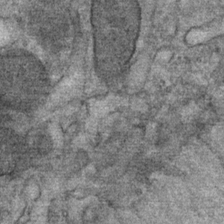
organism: Mouse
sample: Mouse Salivary gland